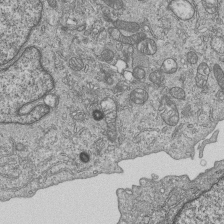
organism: Human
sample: MDA-MB-231 cells